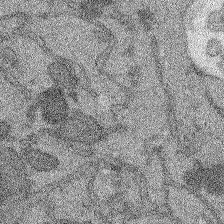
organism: Human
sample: HeLa cells